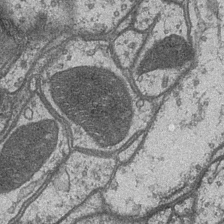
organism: Drosophila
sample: Optic medulla